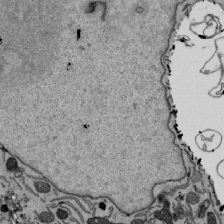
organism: Mouse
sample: ED-1 cell nuclei; centrioles